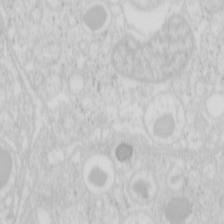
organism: Mouse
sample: Pancreas